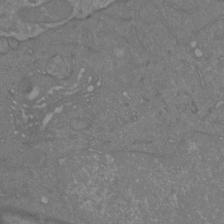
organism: Mouse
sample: Cortical neurons